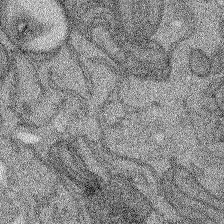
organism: Human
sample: HeLa cells